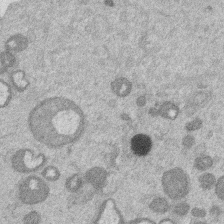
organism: Mouse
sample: Dividing mouse embryo 1 cell stage